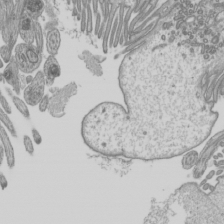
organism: Mouse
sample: Cilia; mouse epididymis